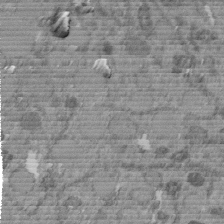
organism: C. elegans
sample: C. elegans embryo early stage